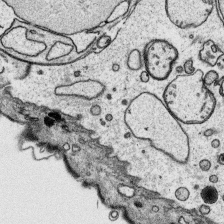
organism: Platynereis dumerilii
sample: Parapodia